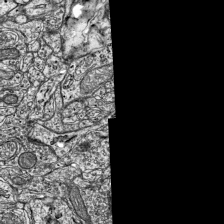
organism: Mouse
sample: Visual Cortex